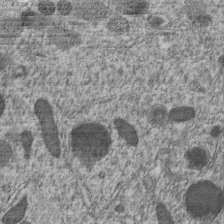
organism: C. elegans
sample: C. elegans embryo early stage